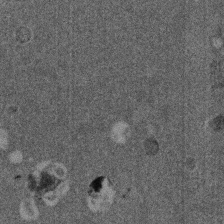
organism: Mouse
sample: Dividing mouse embryo 1 cell stage